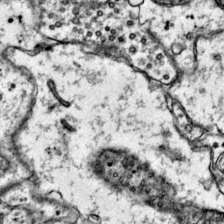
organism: Mouse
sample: Primary visual cortex